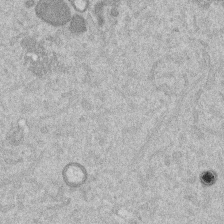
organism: Mouse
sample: Dividing mouse embryo 1 cell stage